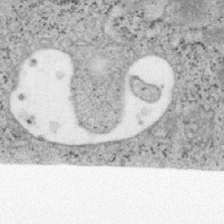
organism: Mouse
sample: OT-I killer T cells with ID8 ovarian cancer cells